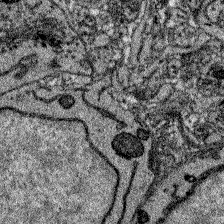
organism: Zebrafish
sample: Larval olfactory bulb